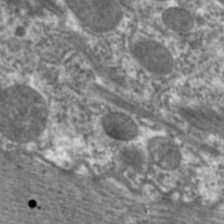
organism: C. elegans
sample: Pharynx